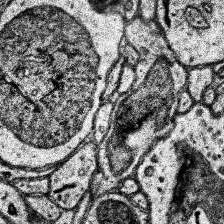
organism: Human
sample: Temporal Lobe